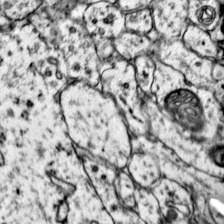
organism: Mouse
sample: Primary visual cortex